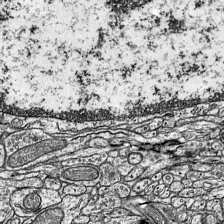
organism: Mouse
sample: Visual Cortex